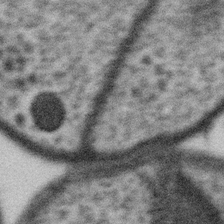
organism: Gemmata obscuriglobus